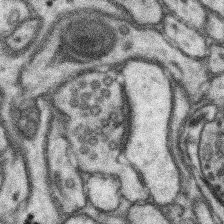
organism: Mouse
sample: Somatosensory cortex neuropil